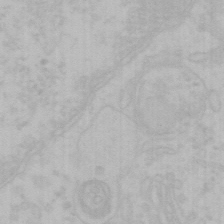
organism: Mouse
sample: Choroid plexus